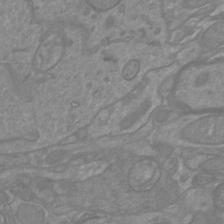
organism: Mouse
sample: Cortical neurons